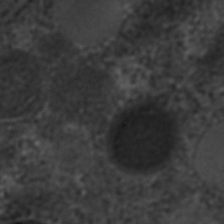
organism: C. elegans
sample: C. elegans embryo